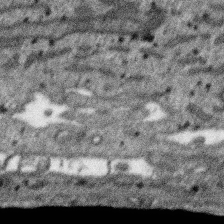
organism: Human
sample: Lung epithelial cells infected with SARS-CoV-2